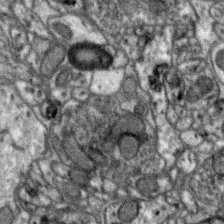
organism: Zebra finch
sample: Brain